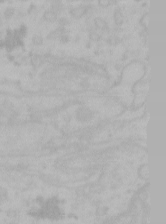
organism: Mouse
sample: Choroid plexus